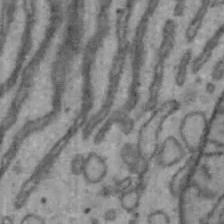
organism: Mouse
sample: Liver